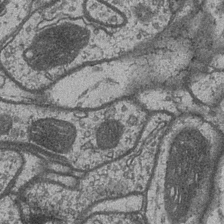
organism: Drosophila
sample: Optic medulla